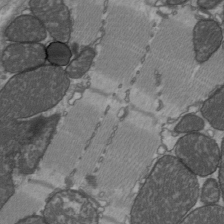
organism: C57BL Mouse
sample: Heart